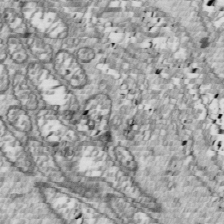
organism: Drosophila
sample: Cell division; meiosis; drosophila spermatocytes